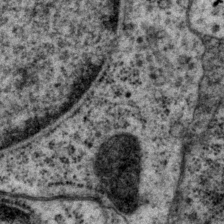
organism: P. pacificus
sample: Pharynx